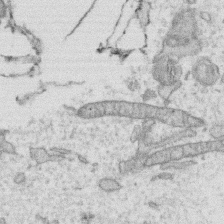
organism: Human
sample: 1205lu cells